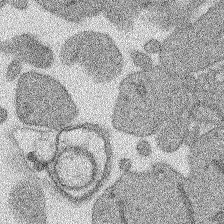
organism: Human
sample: HeLa cells